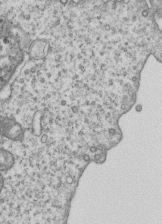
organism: Human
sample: MDA-MB-231 cells